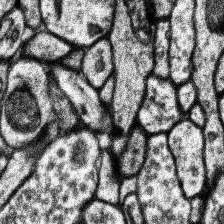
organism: Human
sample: Temporal Lobe